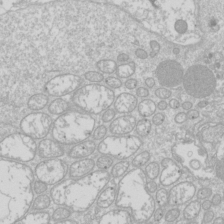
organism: Drosophila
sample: Cell division; meiosis; drosophila spermatocytes